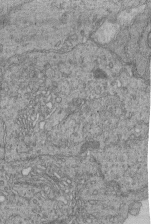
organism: Human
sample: Retinal organoid Rod and Cone cells